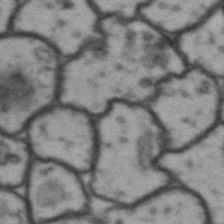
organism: Drosophila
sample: Brain